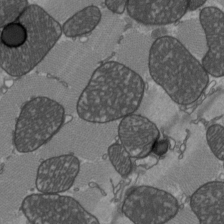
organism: C57BL Mouse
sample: Heart